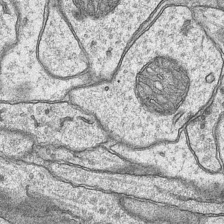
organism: Mouse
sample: CA1 Hippocampus